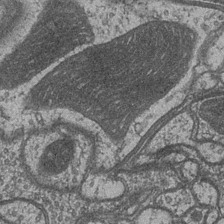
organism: Drosophila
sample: Optic medulla